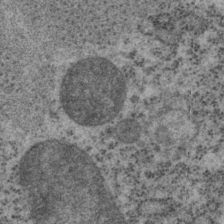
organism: P. pacificus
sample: Pharynx